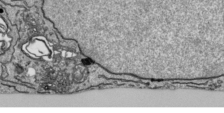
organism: Human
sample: Mitochondria in HCT116 cells